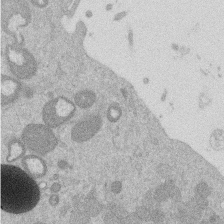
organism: Mouse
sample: Dividing mouse embryo 1 cell stage